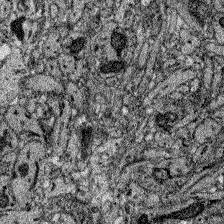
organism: Zebrafish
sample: Larval olfactory bulb